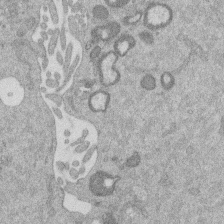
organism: Mouse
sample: Dividing mouse embryo 1 cell stage